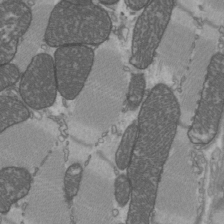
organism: C57BL Mouse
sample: Heart